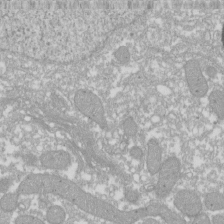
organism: Xenopus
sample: Cilia; centrioles in frog embryo cells